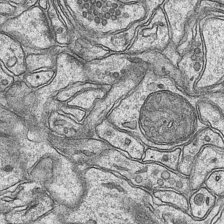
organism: Mouse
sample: CA1 Hippocampus